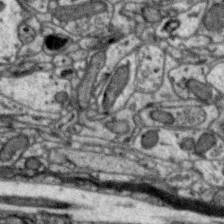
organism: Zebra finch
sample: Brain